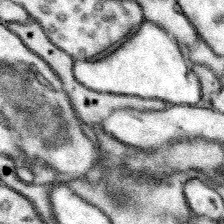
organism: Mouse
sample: Somatosensory cortex neuropil